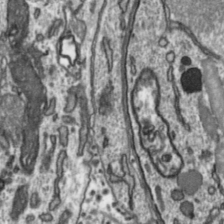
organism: Toxoplasma gondii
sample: Parasites in a vacuole inside a host cell